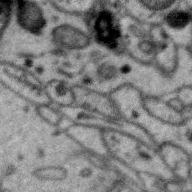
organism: Zebra finch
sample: Brain